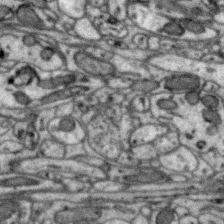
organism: Zebra finch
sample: Brain